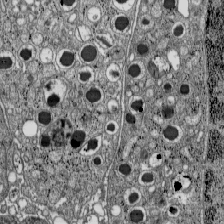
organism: C57BL Mouse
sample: Pancreatic islet